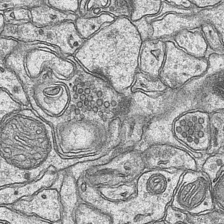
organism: Mouse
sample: CA1 Hippocampus